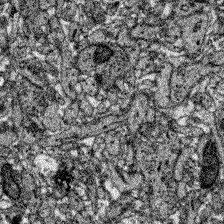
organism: Zebrafish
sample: Larval olfactory bulb